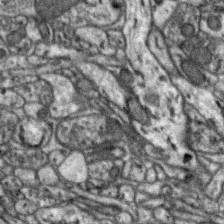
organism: Zebra finch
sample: Brain